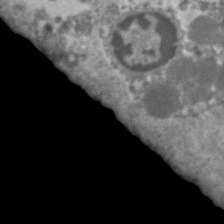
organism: Human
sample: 1205lu cells